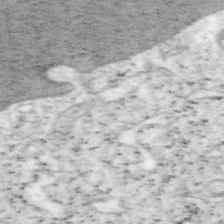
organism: Mouse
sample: OT-I killer T cells with ID8 ovarian cancer cells